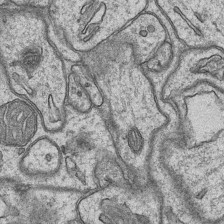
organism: Mouse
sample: CA1 Hippocampus